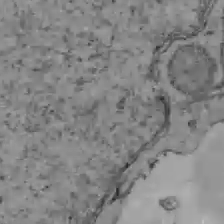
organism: C57BL Mouse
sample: Liver